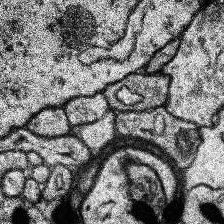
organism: Human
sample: Temporal Lobe